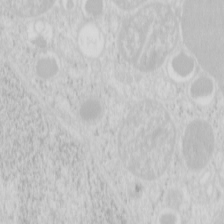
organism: Mouse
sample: Pancreas